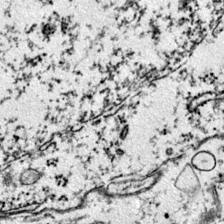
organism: Mouse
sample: Primary visual cortex